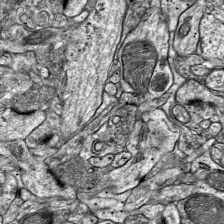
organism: Mouse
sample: Visual Cortex